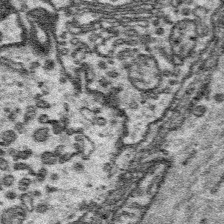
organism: Platynereis dumerilii